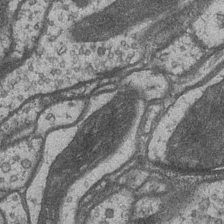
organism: Drosophila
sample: Optic medulla